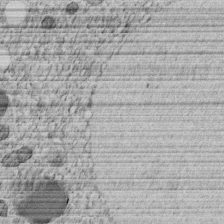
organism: C. elegans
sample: C. elegans embryo early stage